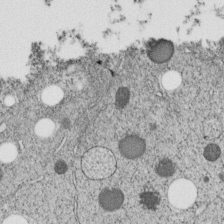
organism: C. elegans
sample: C. elegans embryo early stage